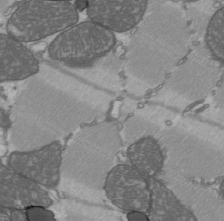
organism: C57BL Mouse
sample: Heart